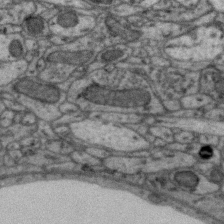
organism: Zebra finch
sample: Brain